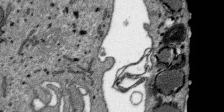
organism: Human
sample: Lung epithelial cells, uninfected (mock) control